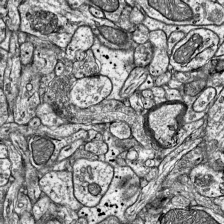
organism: Mouse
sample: Visual Cortex